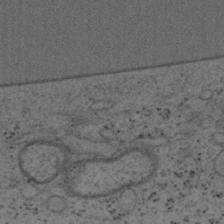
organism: Human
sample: HeLa cells